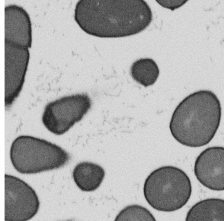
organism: B. subtilis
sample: Bacterial spore